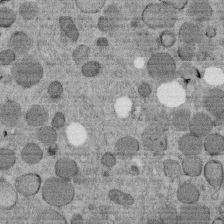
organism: C. elegans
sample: C. elegans embryo early stage